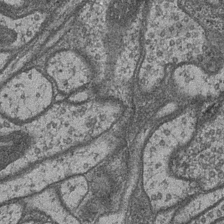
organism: Drosophila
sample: Optic medulla